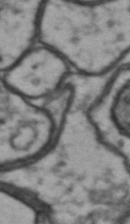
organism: Drosophila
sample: Brain